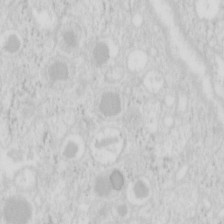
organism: Mouse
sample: Pancreas